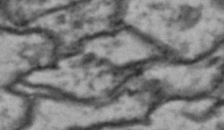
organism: Drosophila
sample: Brain